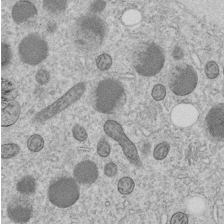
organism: C. elegans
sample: C. elegans embryo early stage